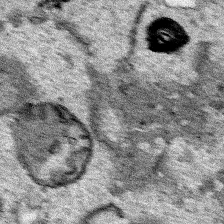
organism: Human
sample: Mitochondria in HCT116 cells